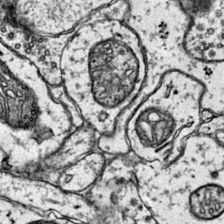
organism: Mouse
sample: Primary visual cortex